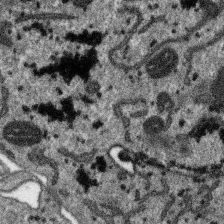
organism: Human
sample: Lung epithelial cells infected with SARS-CoV-2